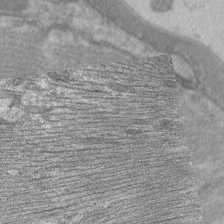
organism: C. elegans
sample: Pharynx